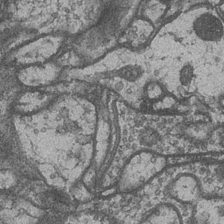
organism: Drosophila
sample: Optic medulla